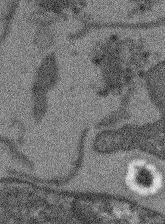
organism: Arabidopsis thaliana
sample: Root tip